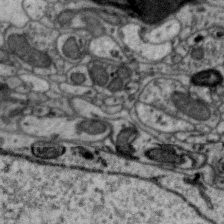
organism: Zebra finch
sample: Brain